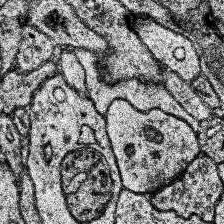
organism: Human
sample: Temporal Lobe